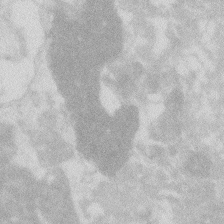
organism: Zebrafish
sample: Macrophage